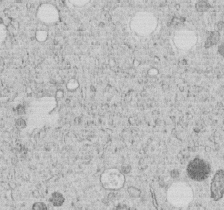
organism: C. elegans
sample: C. elegans embryo early stage